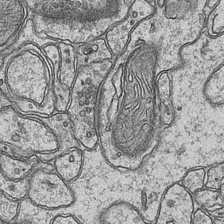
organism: Mouse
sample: CA1 Hippocampus